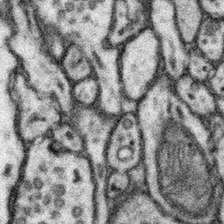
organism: Mouse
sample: Somatosensory cortex neuropil